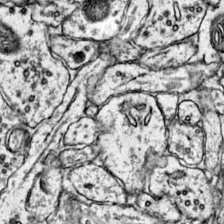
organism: Mouse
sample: Primary visual cortex